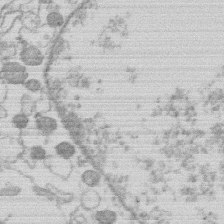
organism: Human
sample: Macrophage cells